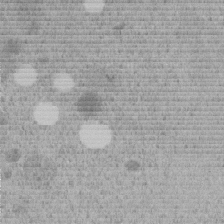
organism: C. elegans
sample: C. elegans embryo early stage